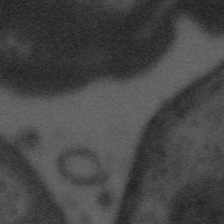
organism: Tuwongella immobilis